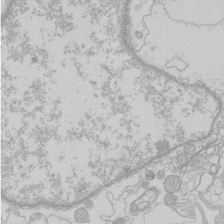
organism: Human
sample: Macrophage cells